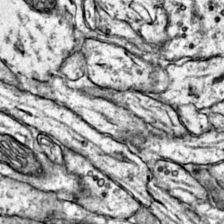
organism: Mouse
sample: Primary visual cortex